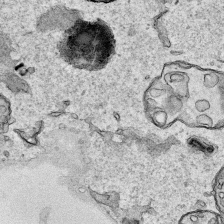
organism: Human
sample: Mitochondria in HCT116 cells